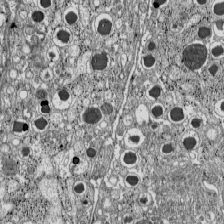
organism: C57BL Mouse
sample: Pancreatic islet